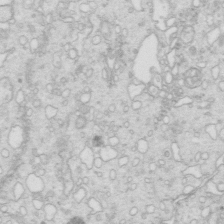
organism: Mouse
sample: Multiciliated cells